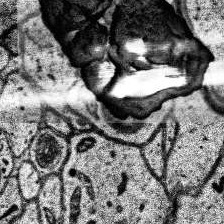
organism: Human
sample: Temporal Lobe